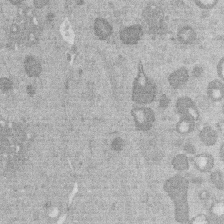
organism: Mouse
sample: Dividing mouse embryo 1 cell stage